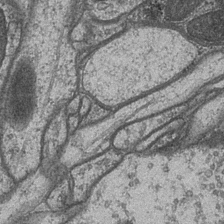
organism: Drosophila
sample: Optic medulla